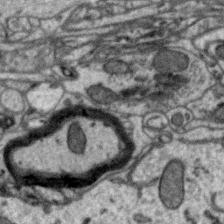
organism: Zebra finch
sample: Brain